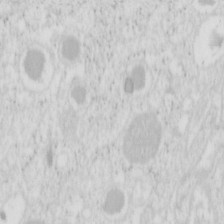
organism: Mouse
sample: Pancreas